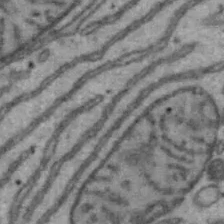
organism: Mouse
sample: Liver